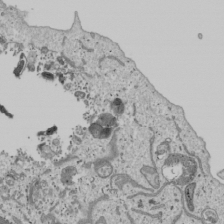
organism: Human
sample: Mitochondria in U2OS cells